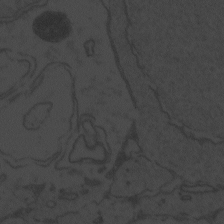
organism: Zebrafish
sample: Macrophage infected with Toxoplasma gondii